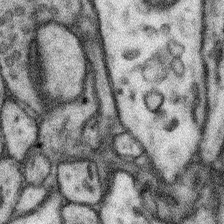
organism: Mouse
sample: Somatosensory cortex neuropil